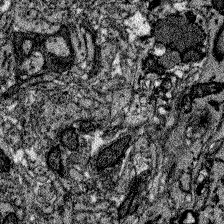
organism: Zebrafish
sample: Larval olfactory bulb